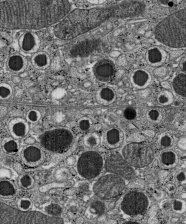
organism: C57BL Mouse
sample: Pancreatic islet